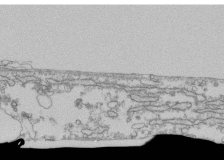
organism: Human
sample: Fibroblast cells